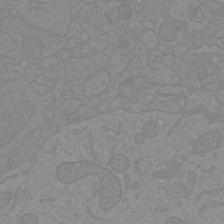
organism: Mouse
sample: Cortical neurons